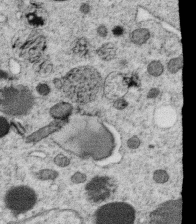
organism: C. elegans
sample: C. elegans oocyte; sperm cells